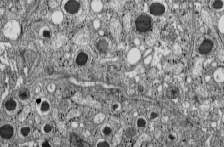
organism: C57BL Mouse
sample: Pancreatic islet